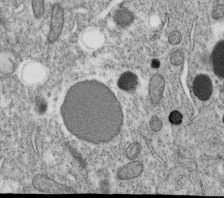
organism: C. elegans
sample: C. elegans oocyte; sperm cells